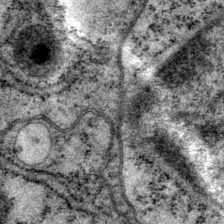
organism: P. pacificus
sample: Pharynx